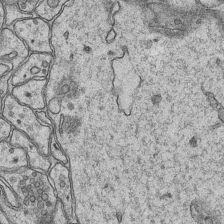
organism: Mouse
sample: CA1 Hippocampus